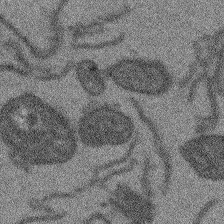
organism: Arabidopsis thaliana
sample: Root tip